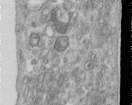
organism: Human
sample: Centriole in RPE cells